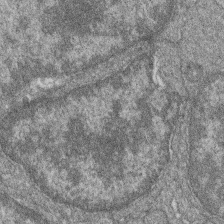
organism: Zebrafish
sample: Cilia; retinal pigment epithelium